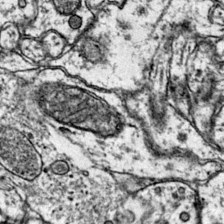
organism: Mouse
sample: Primary visual cortex